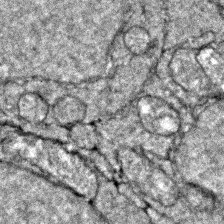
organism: Zebrafish